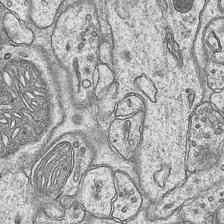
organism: Mouse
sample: CA1 Hippocampus